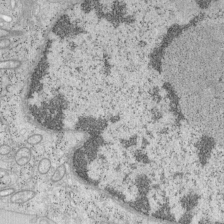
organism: Mouse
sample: OT-I killer T cells with ID8 ovarian cancer cells